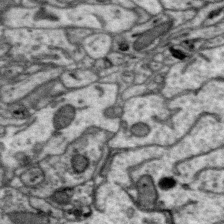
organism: Zebra finch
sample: Brain